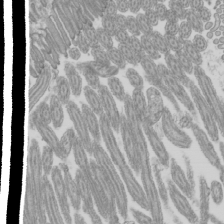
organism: Mouse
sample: Cilia; mouse epididymis